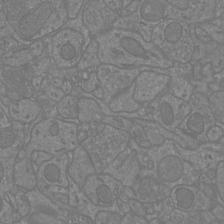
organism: Mouse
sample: Cortical neurons